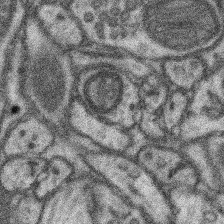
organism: Mouse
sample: Somatosensory cortex neuropil